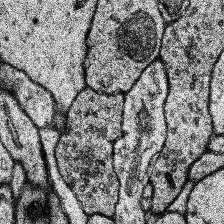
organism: Human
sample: Temporal Lobe